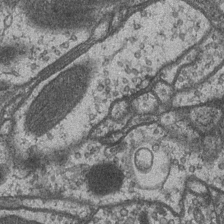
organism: Drosophila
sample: Optic medulla